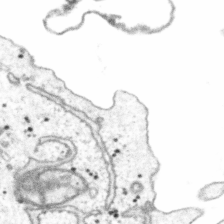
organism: Human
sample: HeLa cells